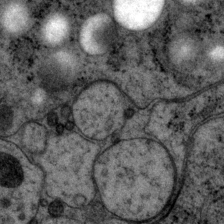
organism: P. pacificus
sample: Pharynx